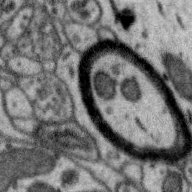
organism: Zebra finch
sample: Brain